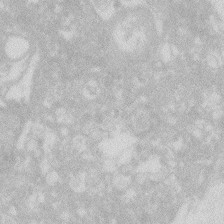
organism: Zebrafish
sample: Macrophage